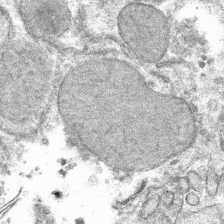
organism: Mouse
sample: Mouse hepatocytes